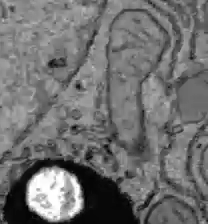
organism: C57BL Mouse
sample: Liver